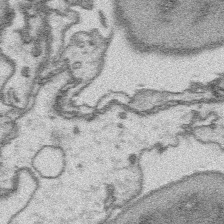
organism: Platynereis dumerilii